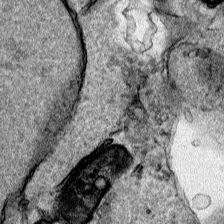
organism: Human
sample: Mitochondria in HCT116 cells